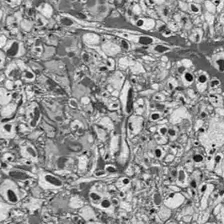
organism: Drosophila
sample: Optic lobe